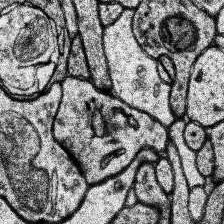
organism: Human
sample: Temporal Lobe